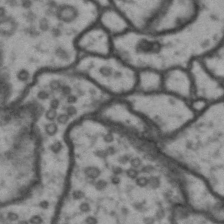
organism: Drosophila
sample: Brain